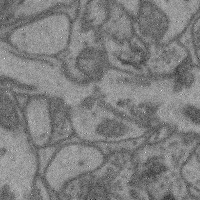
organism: Mouse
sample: Cerebral cortex